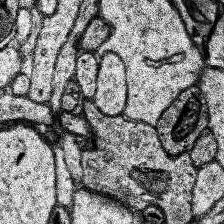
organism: Human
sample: Temporal Lobe